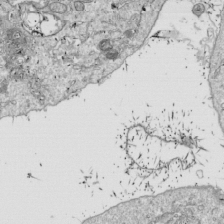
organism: Drosophila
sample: Cell division; meiosis; drosophila spermatocytes